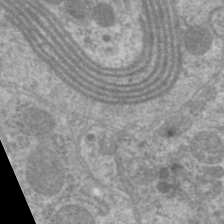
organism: C. elegans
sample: Pharynx